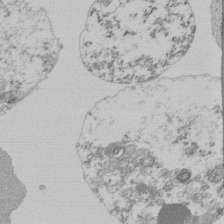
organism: Mouse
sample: Activated Pmel transgenic CD8+ T Cells